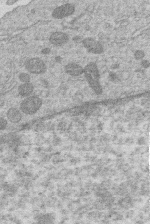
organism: Human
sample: Macrophage cells